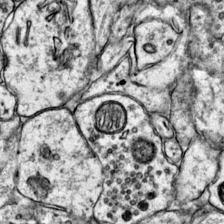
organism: Mouse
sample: Primary visual cortex